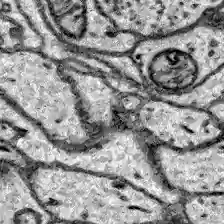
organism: Zebrafish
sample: Brain